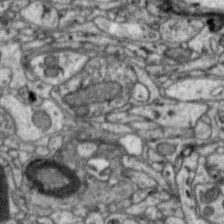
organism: Zebra finch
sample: Brain